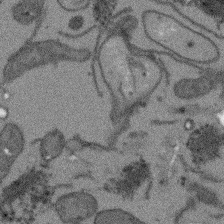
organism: Arabidopsis thaliana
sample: Root tip